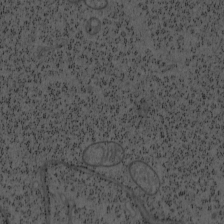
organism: Mouse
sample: OT-I killer T cells with ID8 ovarian cancer cells